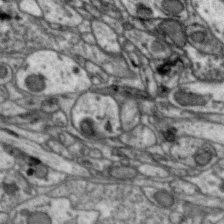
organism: Zebra finch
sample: Brain